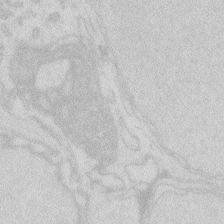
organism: Zebrafish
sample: Macrophage